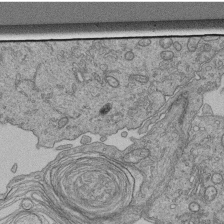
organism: Human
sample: Retinal organoid Rod and Cone cells